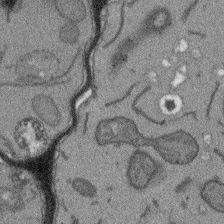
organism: Arabidopsis thaliana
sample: Root tip